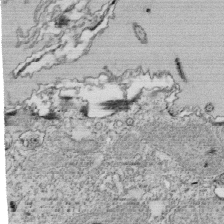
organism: Tetrahymena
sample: Cilia in tetrahymena